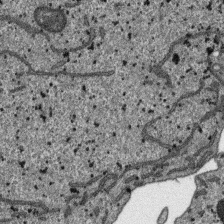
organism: Human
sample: Lung epithelial cells infected with SARS-CoV-2